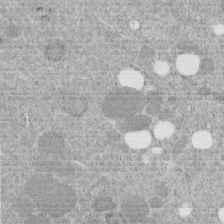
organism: C. elegans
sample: C. elegans embryo early stage